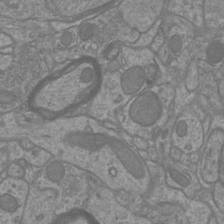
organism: Mouse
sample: Cortical neurons